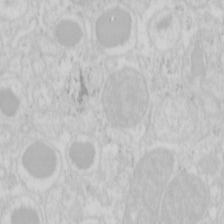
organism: Mouse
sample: Pancreas